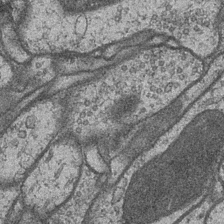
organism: Drosophila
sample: Optic medulla